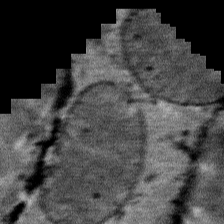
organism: Mouse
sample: Mouse Salivary gland